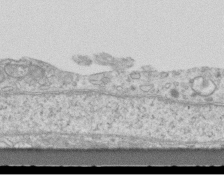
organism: Mouse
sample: Centriole in ependymal cells